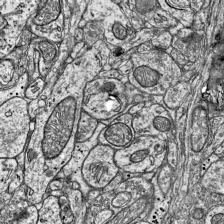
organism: Mouse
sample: Visual Cortex